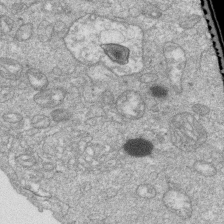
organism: Human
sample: HeLa cell HIV synapse